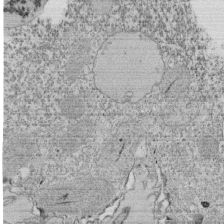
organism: Tetrahymena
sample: Cilia in tetrahymena